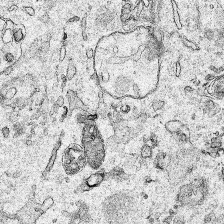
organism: Human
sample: Mitochondria in HCT116 cells